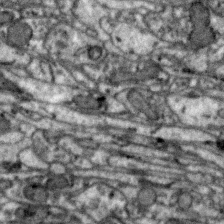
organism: Zebra finch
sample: Brain